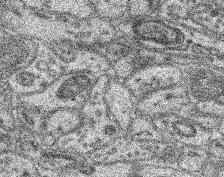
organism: Mouse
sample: Retina